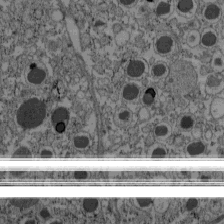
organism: C57BL Mouse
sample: Pancreatic islet